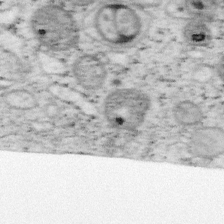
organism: Mouse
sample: OT-I killer T cells with ID8 ovarian cancer cells